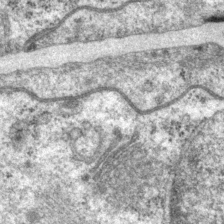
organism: P. pacificus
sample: Pharynx